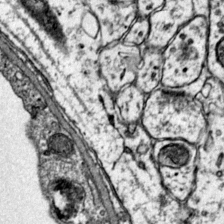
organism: Mouse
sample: Primary visual cortex